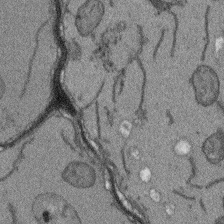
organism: Arabidopsis thaliana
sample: Root tip